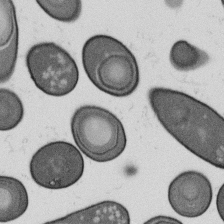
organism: B. subtilis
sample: Bacterial spore